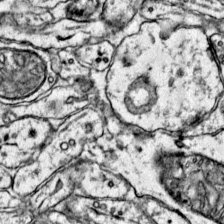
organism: Mouse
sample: Primary visual cortex